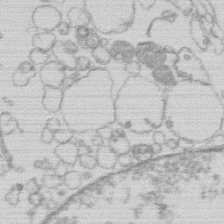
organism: Human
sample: Macrophage cells